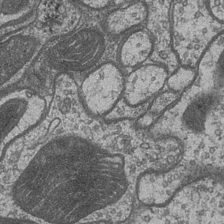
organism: Drosophila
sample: Optic medulla